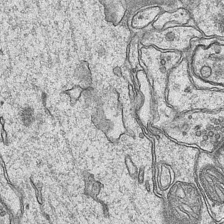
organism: Mouse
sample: CA1 Hippocampus